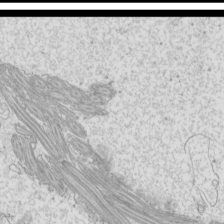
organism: Mouse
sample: Cilia; mouse epididymis